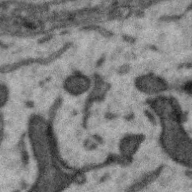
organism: Zebra finch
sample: Brain